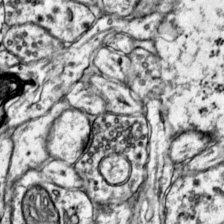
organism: Mouse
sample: Primary visual cortex